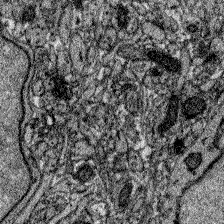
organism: Zebrafish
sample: Larval olfactory bulb